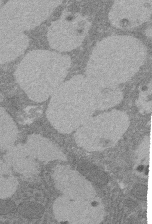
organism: Rat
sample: Salivary granule